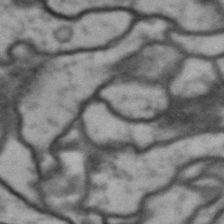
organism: Drosophila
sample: Brain